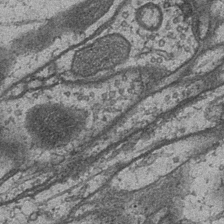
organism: Drosophila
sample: Optic medulla